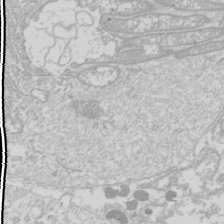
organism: Drosophila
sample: Cell division; meiosis; drosophila spermatocytes